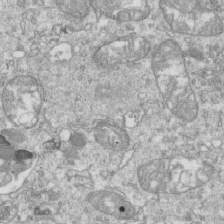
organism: Mouse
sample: Activated OT-1 CD8+ T cells